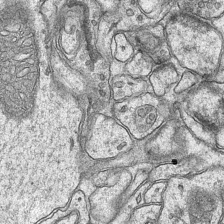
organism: Mouse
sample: CA1 Hippocampus